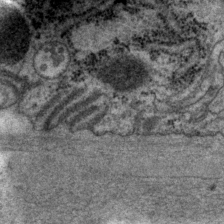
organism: P. pacificus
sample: Pharynx